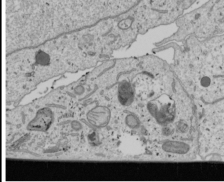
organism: Human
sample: Mitochondria in U2OS cells